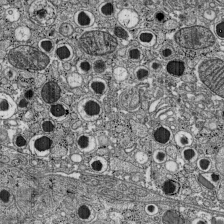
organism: C57BL Mouse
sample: Pancreatic islet